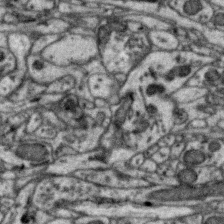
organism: Zebra finch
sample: Brain